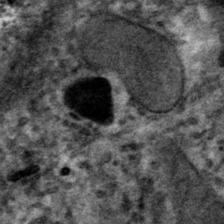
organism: Mouse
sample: Mouse hepatocytes